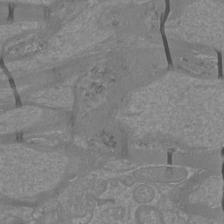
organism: Mouse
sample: Cortical neurons